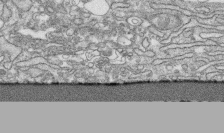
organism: Human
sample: CRL-1474